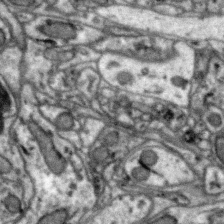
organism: Zebra finch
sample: Brain